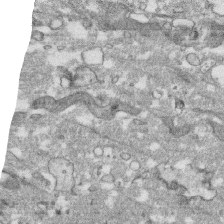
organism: Human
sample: CRL-1474